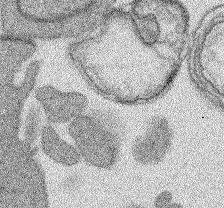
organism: Human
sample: HeLa cells